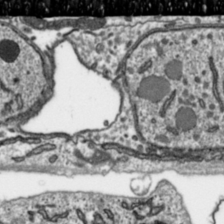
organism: Toxoplasma gondii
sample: Parasites in a vacuole inside a host cell